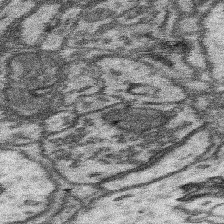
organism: Mouse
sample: Somatosensory cortex neuropil